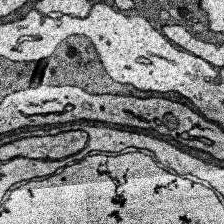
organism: Human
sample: Temporal Lobe